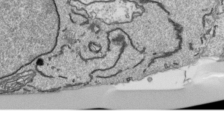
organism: Human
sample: Mitochondria in HCT116 cells